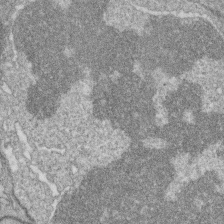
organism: Zebrafish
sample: Cilia; retinal pigment epithelium